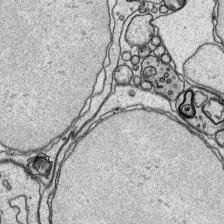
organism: Platynereis dumerilii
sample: Parapodia